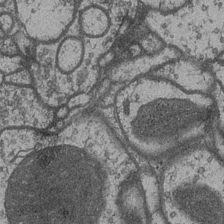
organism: Drosophila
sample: Optic medulla